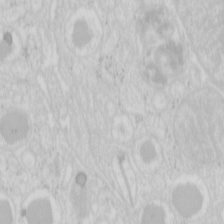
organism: Mouse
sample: Pancreas